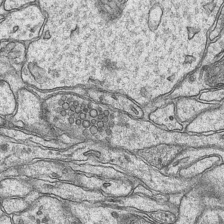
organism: Mouse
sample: CA1 Hippocampus